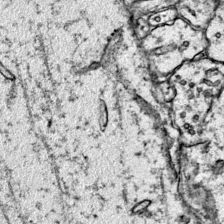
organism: Mouse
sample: Primary visual cortex